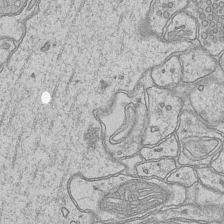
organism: Mouse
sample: CA1 Hippocampus